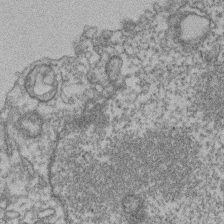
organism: Mouse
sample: T cell stromal cell synapse